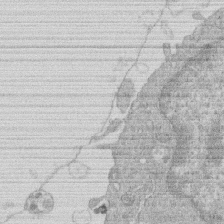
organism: Human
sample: Macrophage cells